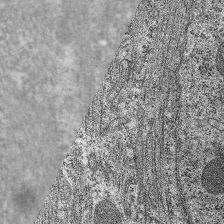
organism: C. elegans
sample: Pharynx